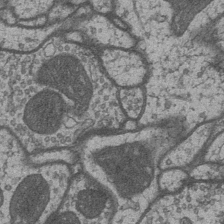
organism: Drosophila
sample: Optic medulla